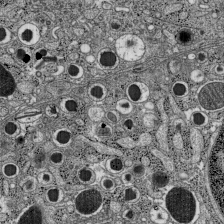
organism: C57BL Mouse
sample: Pancreatic islet